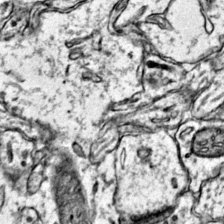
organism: Mouse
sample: Primary visual cortex